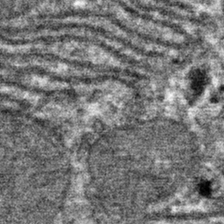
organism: Mouse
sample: Mouse hepatocytes